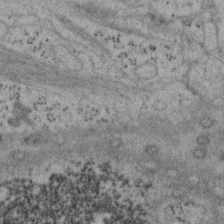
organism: Human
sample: HeLa cells